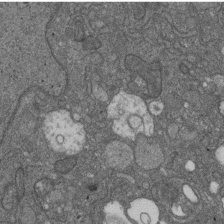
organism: Drosophila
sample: Nephrocyte